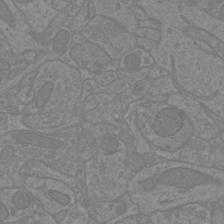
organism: Mouse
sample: Cortical neurons